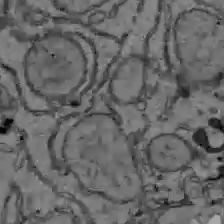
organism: C57BL Mouse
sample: Liver